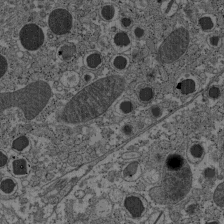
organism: C57BL Mouse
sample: Pancreatic islet